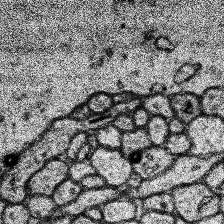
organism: Human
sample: Temporal Lobe